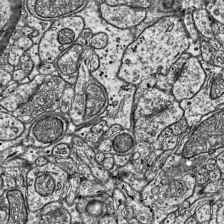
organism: Mouse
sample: Visual Cortex